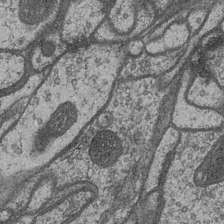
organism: Drosophila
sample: Optic medulla